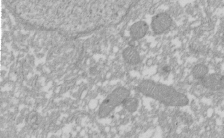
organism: Xenopus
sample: Cilia; centrioles in frog embryo cells